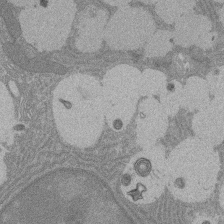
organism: Rat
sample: Salivary granule